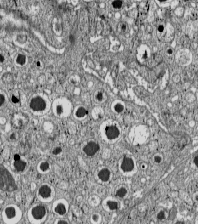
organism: C57BL Mouse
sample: Pancreatic islet